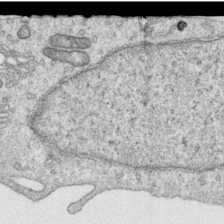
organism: Human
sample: Centriole in RPE cells